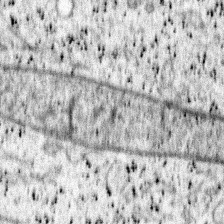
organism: Human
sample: HeLa cells